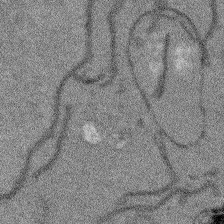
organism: Arabidopsis thaliana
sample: Root tip